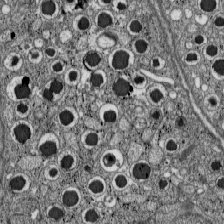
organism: C57BL Mouse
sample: Pancreatic islet